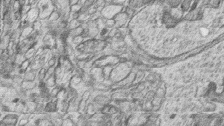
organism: Zebrafish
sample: synaptic ribbons in rod cells and cone cells